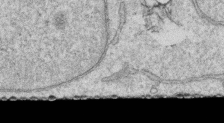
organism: Human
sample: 1205lu cells